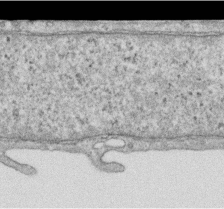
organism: Human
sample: Centriole in RPE cells